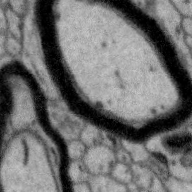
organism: Zebra finch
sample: Brain